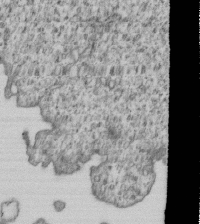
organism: Human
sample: MDA-MB-231 cells